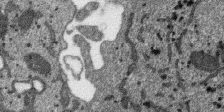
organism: Human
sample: Lung epithelial cells infected with SARS-CoV-2